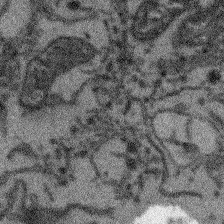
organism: Arabidopsis thaliana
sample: Root tip